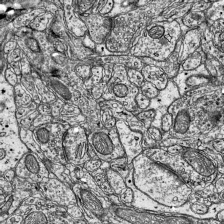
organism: Mouse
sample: Visual Cortex